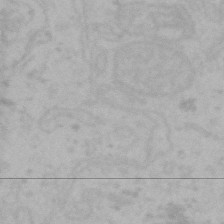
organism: Mouse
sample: Choroid plexus